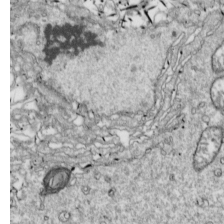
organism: Drosophila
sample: Cell division; meiosis; drosophila spermatocytes